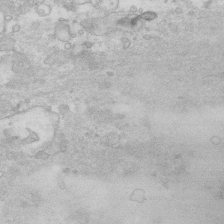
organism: Human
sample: Fibroblast cells